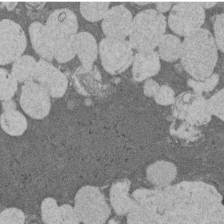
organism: Rat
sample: Salivary granule